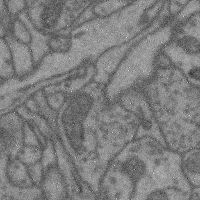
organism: Mouse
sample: Cerebral cortex